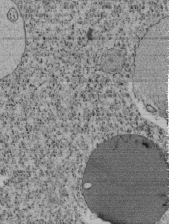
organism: Tetrahymena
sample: Cilia in tetrahymena